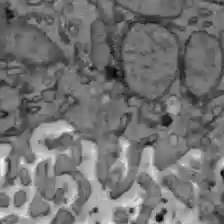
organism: C57BL Mouse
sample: Liver